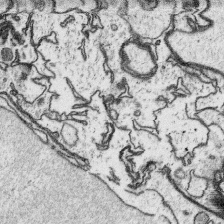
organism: Platynereis dumerilii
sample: Parapodia